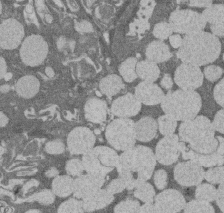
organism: Rat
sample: Salivary granule